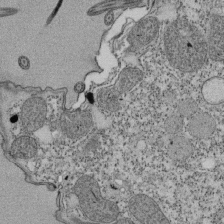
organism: Tetrahymena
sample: Cilia in tetrahymena